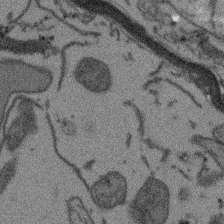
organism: Arabidopsis thaliana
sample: Root tip